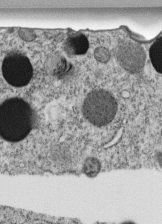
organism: C. elegans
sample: C. elegans embryo early stage